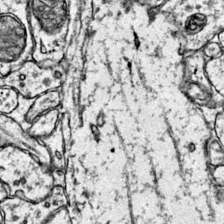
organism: Mouse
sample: Primary visual cortex